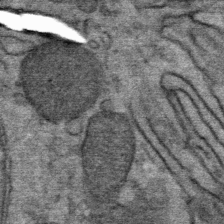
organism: Mouse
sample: Mouse Salivary gland